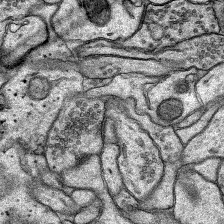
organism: Rat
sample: Hippocampus